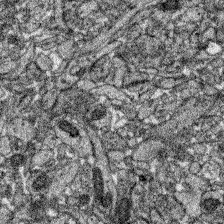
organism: Zebrafish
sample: Larval olfactory bulb